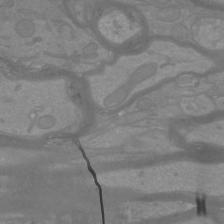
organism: Mouse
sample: Cortical neurons